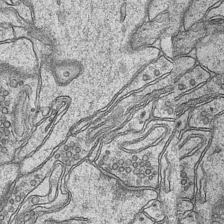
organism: Mouse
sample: CA1 Hippocampus